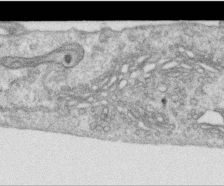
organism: Human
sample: Centriole in RPE cells